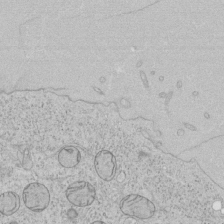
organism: Human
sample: Mitochondria in HCT116 cells